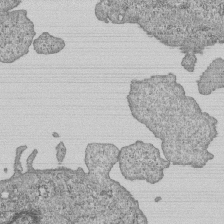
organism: Human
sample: MDA-MB-231 cells